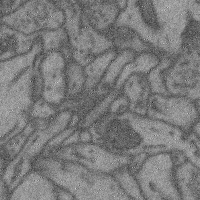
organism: Mouse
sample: Cerebral cortex